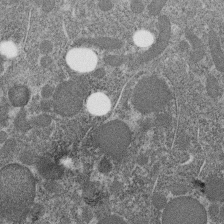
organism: C. elegans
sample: C. elegans embryo early stage